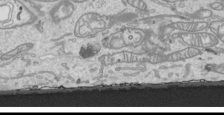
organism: Human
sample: Mitochondria in HCT116 cells